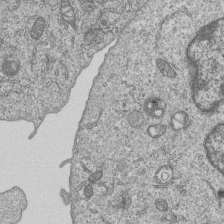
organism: Human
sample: MDA-MB-231 cells